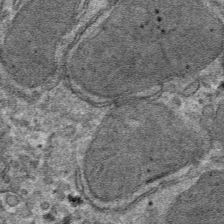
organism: Mouse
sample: Mouse hepatocytes